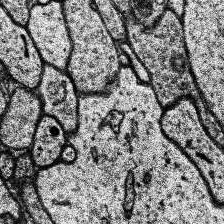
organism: Human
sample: Temporal Lobe